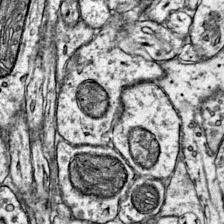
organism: Mouse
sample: Primary visual cortex